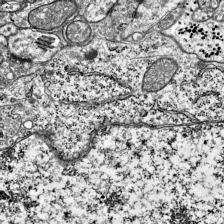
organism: Mouse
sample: Visual Cortex